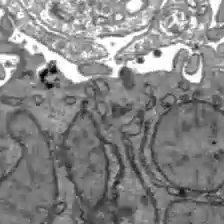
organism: C57BL Mouse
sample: Liver